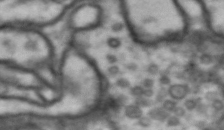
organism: Drosophila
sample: Brain